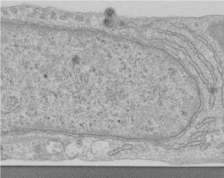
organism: Human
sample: Centriole in RPE cells